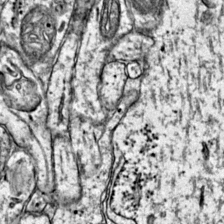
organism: Mouse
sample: Primary visual cortex